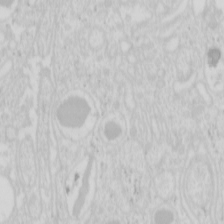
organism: Mouse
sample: Pancreas